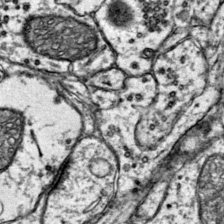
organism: Mouse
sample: Primary visual cortex